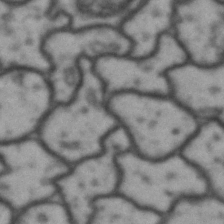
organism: Drosophila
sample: Brain